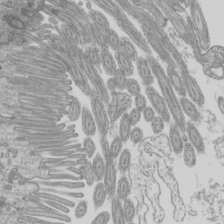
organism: Mouse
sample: Cilia; mouse epididymis